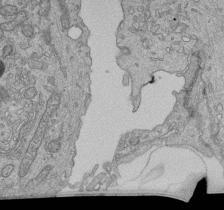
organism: Human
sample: Retinal organoid Rod and Cone cells